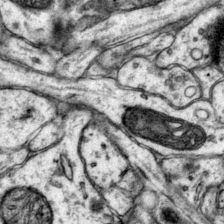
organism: Mouse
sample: Primary visual cortex